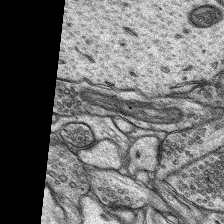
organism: Rat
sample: Hippocampus